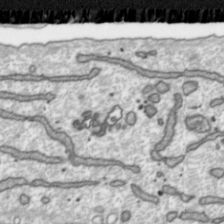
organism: Toxoplasma gondii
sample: Parasites in a vacuole inside a host cell